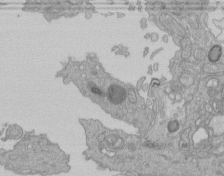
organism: Human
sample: Retinal organoid Rod and Cone cells